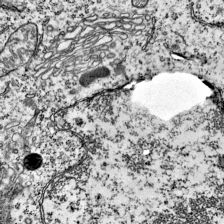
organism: Mouse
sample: Visual Cortex